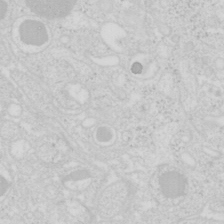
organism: Mouse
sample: Pancreas